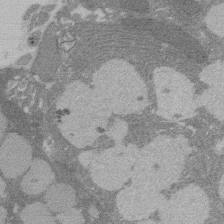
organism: Rat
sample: Salivary granule